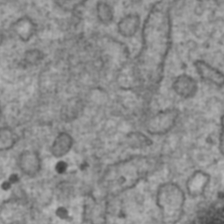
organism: Human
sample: Blood